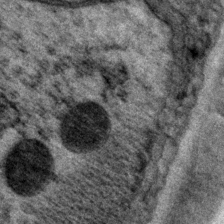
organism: P. pacificus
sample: Pharynx